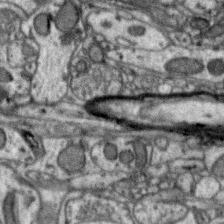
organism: Zebra finch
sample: Brain